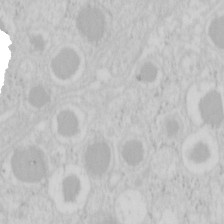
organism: Mouse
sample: Pancreas